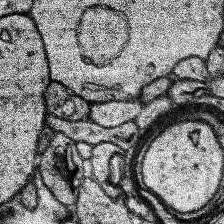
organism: Human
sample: Temporal Lobe